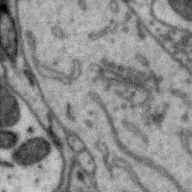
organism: Zebra finch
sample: Brain